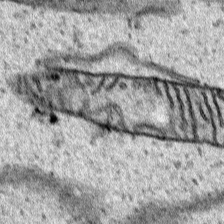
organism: Human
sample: Mitochondria in HCT116 cells